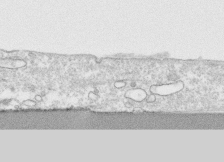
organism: Human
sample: CRL-1474